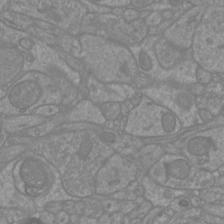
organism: Mouse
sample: Cortical neurons